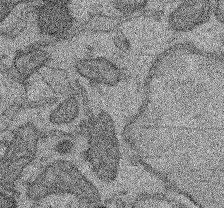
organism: Human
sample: HeLa cells